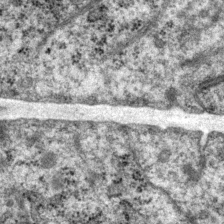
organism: P. pacificus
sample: Pharynx